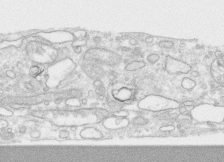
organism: Human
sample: CRL-1474